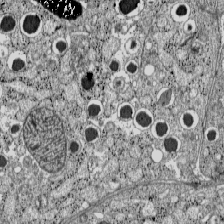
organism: C57BL Mouse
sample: Pancreatic islet